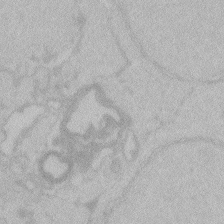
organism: Zebrafish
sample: Macrophage infected with Toxoplasma gondii